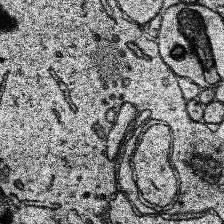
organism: Human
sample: Temporal Lobe